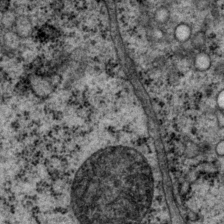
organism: P. pacificus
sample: Pharynx